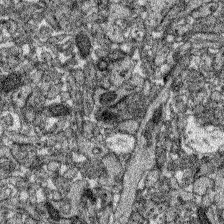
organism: Zebrafish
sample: Larval olfactory bulb